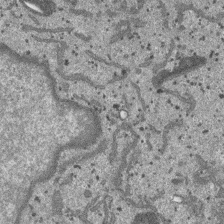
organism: Human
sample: Lung epithelial cells infected with SARS-CoV-2